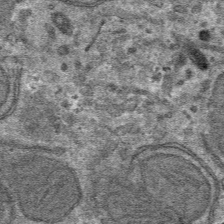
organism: Mouse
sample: Mouse hepatocytes